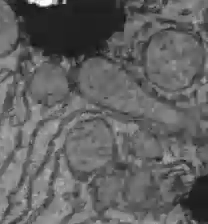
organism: C57BL Mouse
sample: Liver